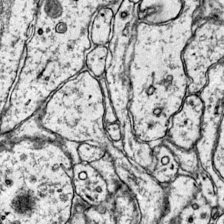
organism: Mouse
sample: Primary visual cortex